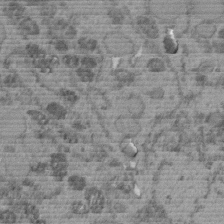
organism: C. elegans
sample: C. elegans embryo early stage